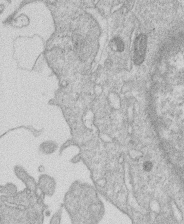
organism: Human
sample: Macrophage cells